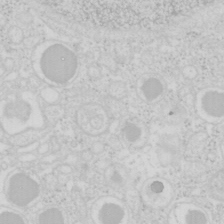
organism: Mouse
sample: Pancreas